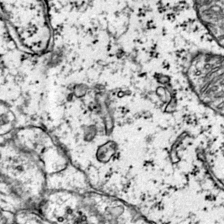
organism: Mouse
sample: Primary visual cortex